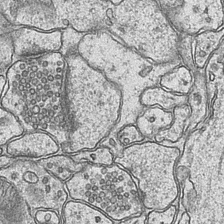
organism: Mouse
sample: CA1 Hippocampus